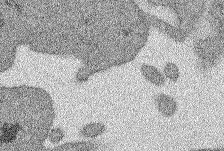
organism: Human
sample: HeLa cells